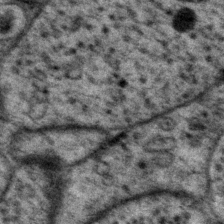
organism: P. pacificus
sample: Pharynx